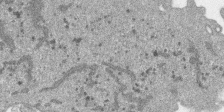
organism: Human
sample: Lung epithelial cells infected with SARS-CoV-2